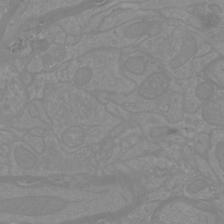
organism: Mouse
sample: Cortical neurons